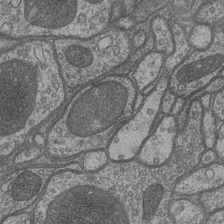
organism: Drosophila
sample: Optic medulla